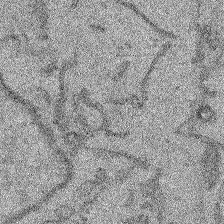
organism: Human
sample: HeLa cells